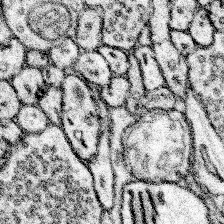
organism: Mouse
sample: Somatosensory cortex neuropil